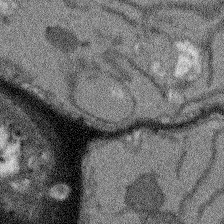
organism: Arabidopsis thaliana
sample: Root tip